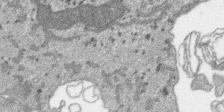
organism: Human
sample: Lung epithelial cells infected with SARS-CoV-2